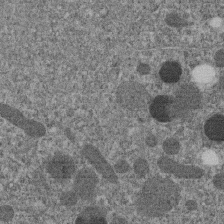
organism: C. elegans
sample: C. elegans embryo early stage